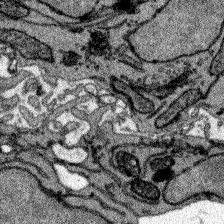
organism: Zebrafish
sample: Larval olfactory bulb